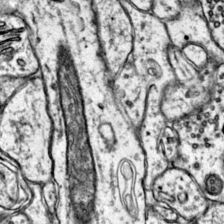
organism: Mouse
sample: Primary visual cortex